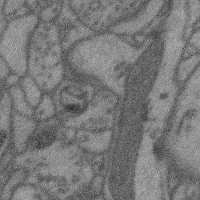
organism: Mouse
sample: Cerebral cortex